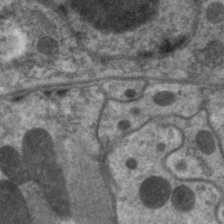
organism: C. elegans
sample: Pharynx